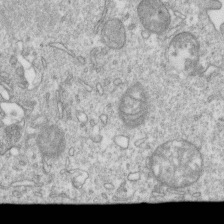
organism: Mouse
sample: Activated OT-1 CD8+ T cells